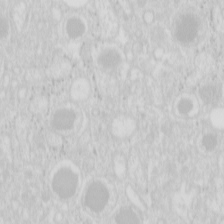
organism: Mouse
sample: Pancreas